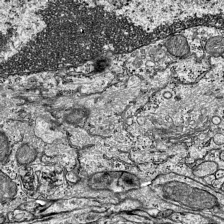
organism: Mouse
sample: Visual Cortex